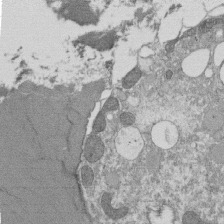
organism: Tetrahymena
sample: Cilia in tetrahymena